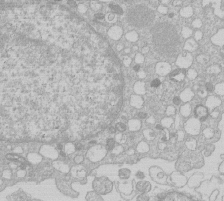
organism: Human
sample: Macrophage cells